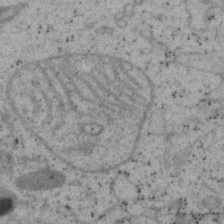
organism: Human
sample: HeLa cells